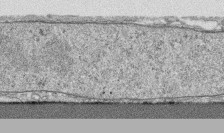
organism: Human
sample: CRL-1474